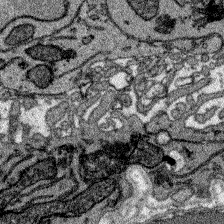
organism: Zebrafish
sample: Larval olfactory bulb